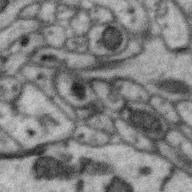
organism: Zebra finch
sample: Brain